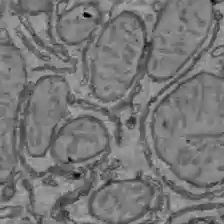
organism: C57BL Mouse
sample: Liver